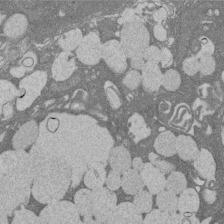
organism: Rat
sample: Salivary granule